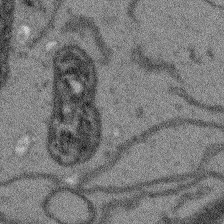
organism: Arabidopsis thaliana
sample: Root tip